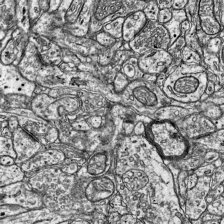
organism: Mouse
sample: Visual Cortex